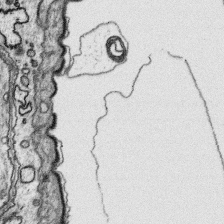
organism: Platynereis dumerilii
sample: Parapodia